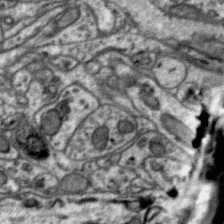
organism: Zebra finch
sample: Brain